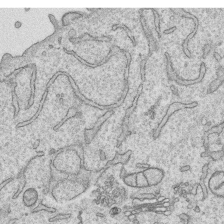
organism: Human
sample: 1205lu cells